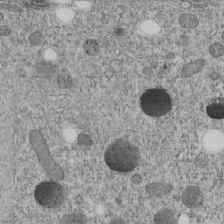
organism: C. elegans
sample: C. elegans embryo early stage